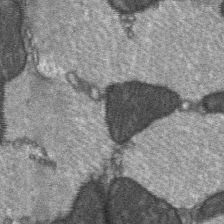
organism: C57BL Mouse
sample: Soleus